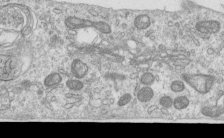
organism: Human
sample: Centriole in RPE cells